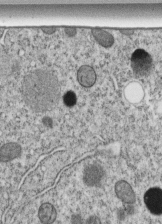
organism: C. elegans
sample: C. elegans embryo early stage